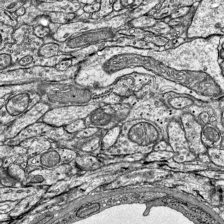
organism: Mouse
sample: Visual Cortex